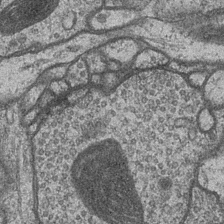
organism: Drosophila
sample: Optic medulla